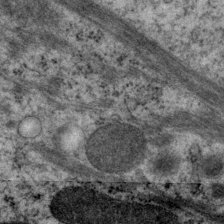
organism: P. pacificus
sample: Pharynx